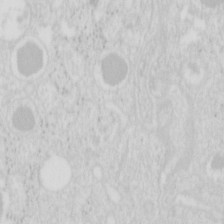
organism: Mouse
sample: Pancreas